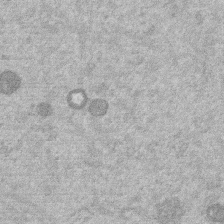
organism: Mouse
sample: Dividing mouse embryo 1 cell stage